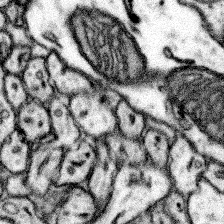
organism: Mouse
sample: Somatosensory cortex neuropil